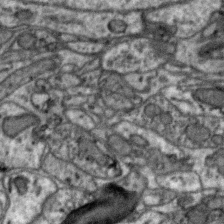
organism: Zebra finch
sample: Brain